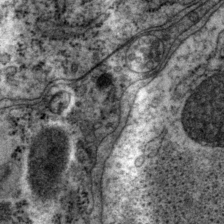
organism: P. pacificus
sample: Pharynx